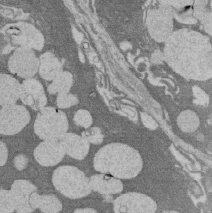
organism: Rat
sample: Salivary granule